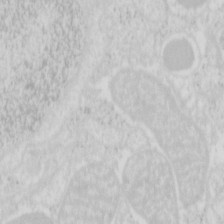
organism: Mouse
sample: Pancreas